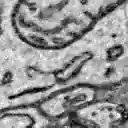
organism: Zebrafish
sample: Brain